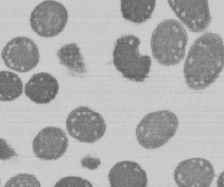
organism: E. coli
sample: Bacterial nucleoid